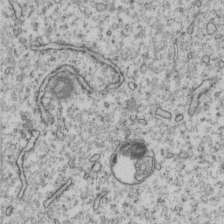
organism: Human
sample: MDA-MB-231 cells